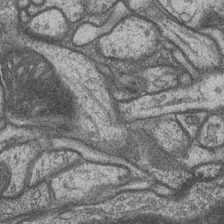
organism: Drosophila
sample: Optic medulla